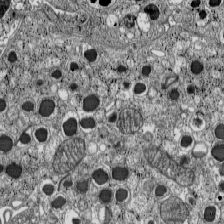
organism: C57BL Mouse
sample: Pancreatic islet